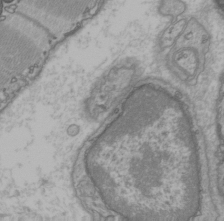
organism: C57BL Mouse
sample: Heart